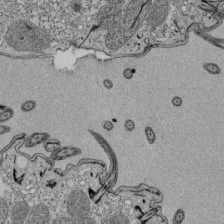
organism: Tetrahymena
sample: Cilia in tetrahymena